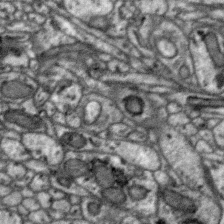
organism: Zebra finch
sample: Brain